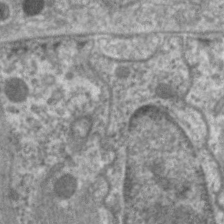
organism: C. elegans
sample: Pharynx